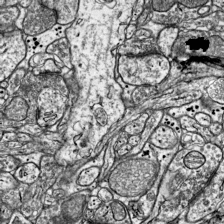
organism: Mouse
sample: Visual Cortex